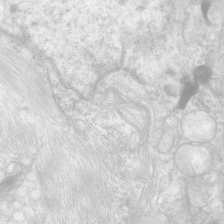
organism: Human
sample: Neocortex